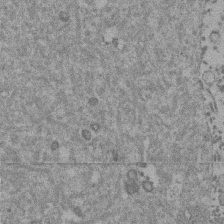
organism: Mouse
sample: Dividing mouse embryo 1 cell stage